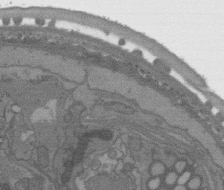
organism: C. elegans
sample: AFD neurons C. elegans